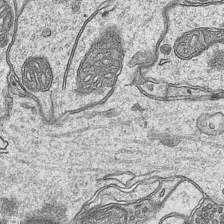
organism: Mouse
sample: CA1 Hippocampus